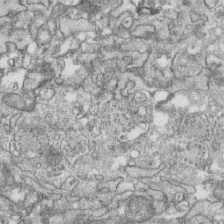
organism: Human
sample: CRL-1474